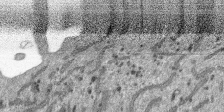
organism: Human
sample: Lung epithelial cells infected with SARS-CoV-2